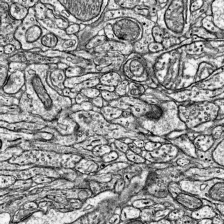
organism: Mouse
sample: Visual Cortex